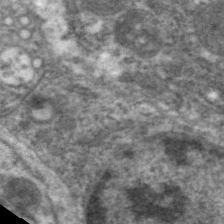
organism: C. elegans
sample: Pharynx